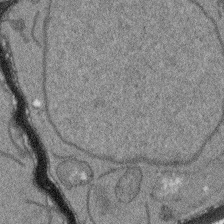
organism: Arabidopsis thaliana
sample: Root tip